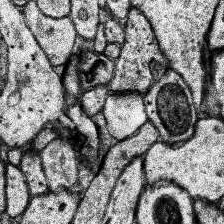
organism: Human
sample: Temporal Lobe